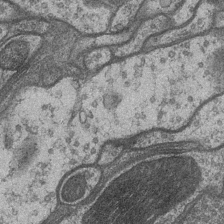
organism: Drosophila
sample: Optic medulla